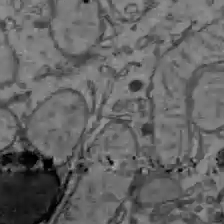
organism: C57BL Mouse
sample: Liver